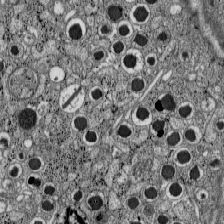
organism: C57BL Mouse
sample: Pancreatic islet